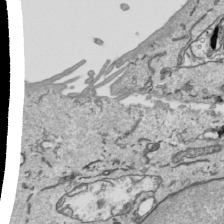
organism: Human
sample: Mitochondria in HCT116 cells